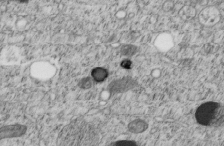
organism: C. elegans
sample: C. elegans embryo early stage